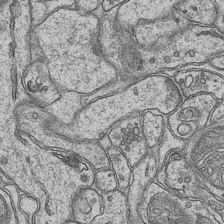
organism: Mouse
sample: CA1 Hippocampus